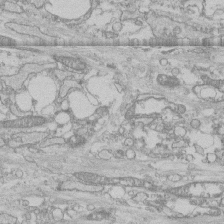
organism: Human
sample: CRL-1474